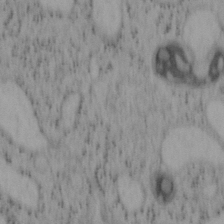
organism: Mouse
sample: OT-I killer T cells with ID8 ovarian cancer cells